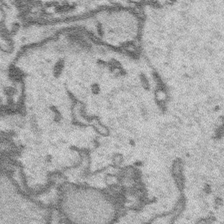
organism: Platynereis dumerilii